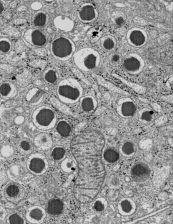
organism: C57BL Mouse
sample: Pancreatic islet